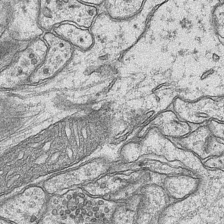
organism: Mouse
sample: CA1 Hippocampus